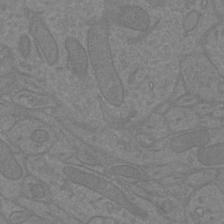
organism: Mouse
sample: Cortical neurons